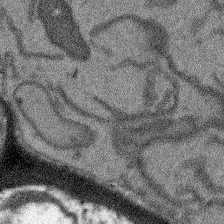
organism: Arabidopsis thaliana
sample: Root tip